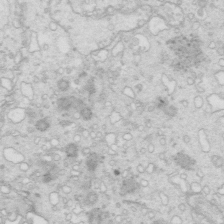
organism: Mouse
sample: Multiciliated cells